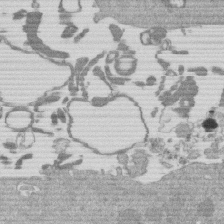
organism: Mouse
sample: Dividing mouse embryo 1 cell stage